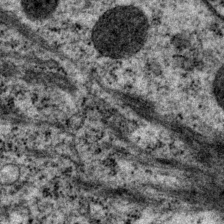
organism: P. pacificus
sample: Pharynx